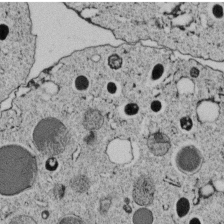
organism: C. elegans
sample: C. elegans embryo early stage